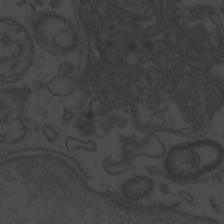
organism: Zebrafish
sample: Macrophage infected with Toxoplasma gondii